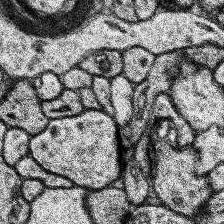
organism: Human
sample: Temporal Lobe